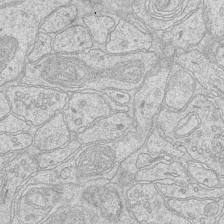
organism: Mouse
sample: CA1 Hippocampus